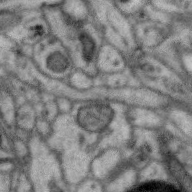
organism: Zebra finch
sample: Brain